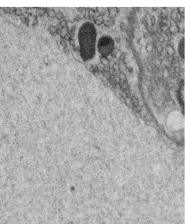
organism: C. elegans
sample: C. elegans oocyte; sperm cells